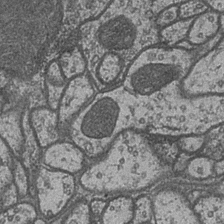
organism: Drosophila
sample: Optic medulla